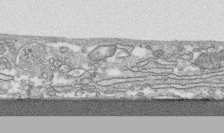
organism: Human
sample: CRL-1474